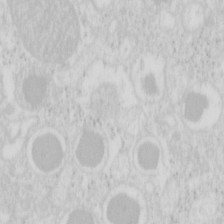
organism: Mouse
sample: Pancreas